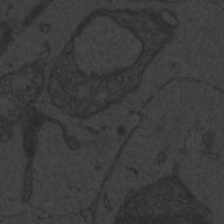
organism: Zebrafish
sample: Macrophage infected with Toxoplasma gondii